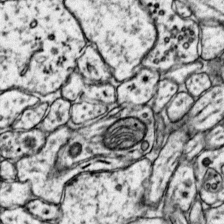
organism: Mouse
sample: Primary visual cortex